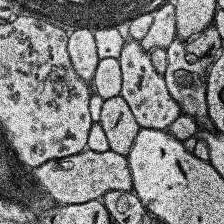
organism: Human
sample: Temporal Lobe